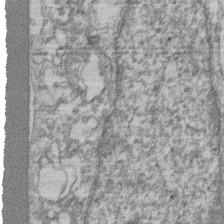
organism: Mouse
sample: T cell stromal cell synapse